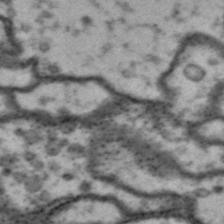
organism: Drosophila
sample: Brain